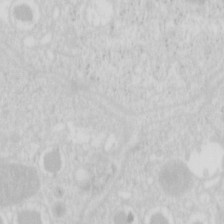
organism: Mouse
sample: Pancreas